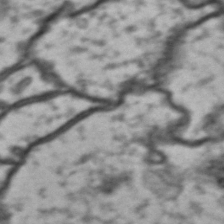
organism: Drosophila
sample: Brain